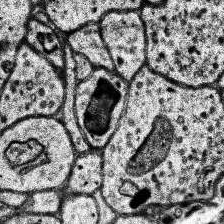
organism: Human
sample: Temporal Lobe